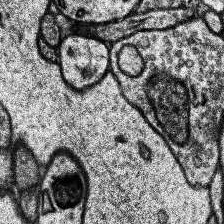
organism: Human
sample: Temporal Lobe